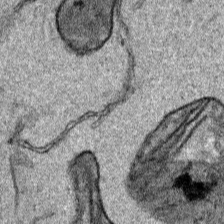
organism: Human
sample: Mitochondria in HCT116 cells